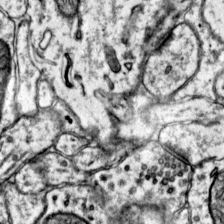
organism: Mouse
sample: Primary visual cortex